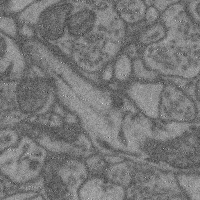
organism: Mouse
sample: Cerebral cortex